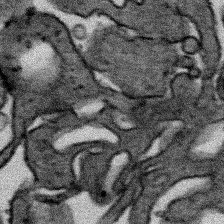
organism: Human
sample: Mitochondria in HCT116 cells